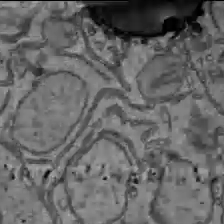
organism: C57BL Mouse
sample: Liver